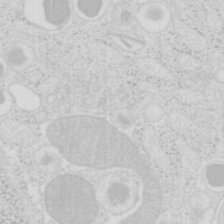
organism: Mouse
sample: Pancreas